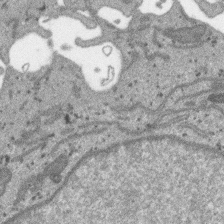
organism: Human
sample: Lung epithelial cells infected with SARS-CoV-2